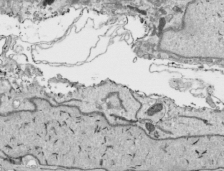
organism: Human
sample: Mitochondria in HCT116 cells